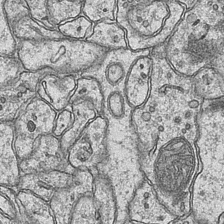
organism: Mouse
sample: CA1 Hippocampus